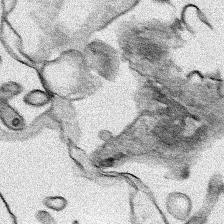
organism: Human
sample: Mitochondria in HCT116 cells